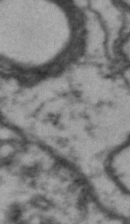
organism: Drosophila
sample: Brain